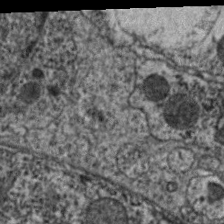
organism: C. elegans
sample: Pharynx